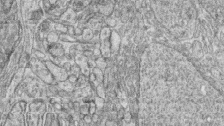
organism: Zebrafish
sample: synaptic ribbons in rod cells and cone cells